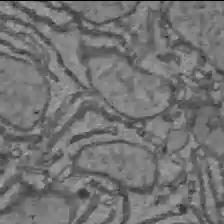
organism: C57BL Mouse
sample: Liver